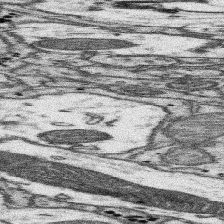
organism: Mouse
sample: Somatosensory cortex neuropil